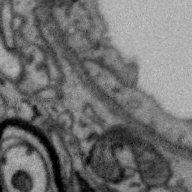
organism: Zebra finch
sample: Brain